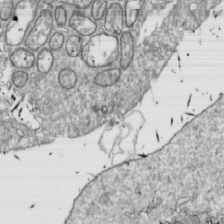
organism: Drosophila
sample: Cell division; meiosis; drosophila spermatocytes